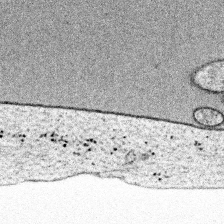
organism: Human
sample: HeLa cells